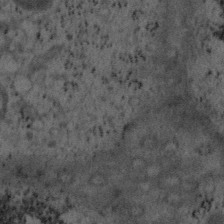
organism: Human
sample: HeLa cells